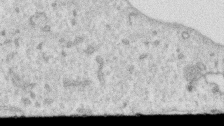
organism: Human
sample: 1205lu cells